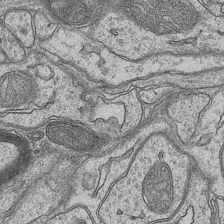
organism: Mouse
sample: CA1 Hippocampus